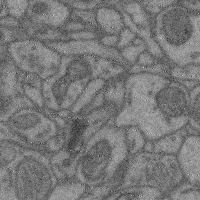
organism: Mouse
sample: Cerebral cortex